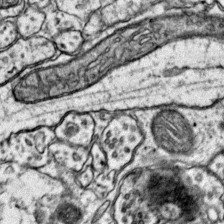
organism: Mouse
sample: Primary visual cortex